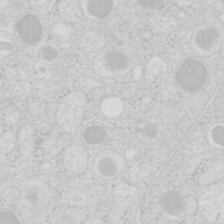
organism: Mouse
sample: Pancreas